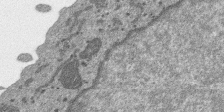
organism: Human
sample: Lung epithelial cells infected with SARS-CoV-2